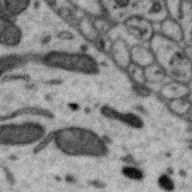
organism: Zebra finch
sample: Brain